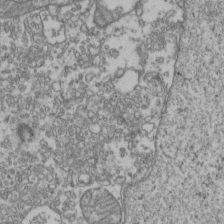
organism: Human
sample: Activated Jurkat CD4+ T cells